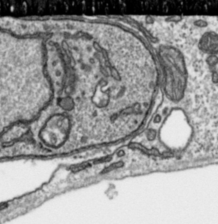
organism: Toxoplasma gondii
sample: Parasites in a vacuole inside a host cell